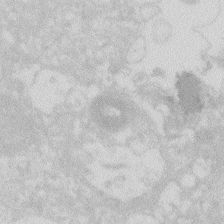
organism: Zebrafish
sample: Macrophage